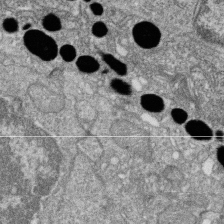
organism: Zebrafish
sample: Cilia; retinal pigment epithelium